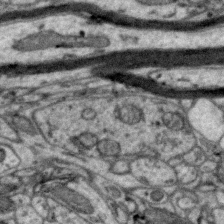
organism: Zebra finch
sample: Brain